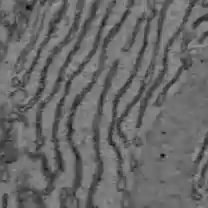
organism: C57BL Mouse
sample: Liver